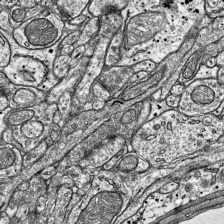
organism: Mouse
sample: Visual Cortex